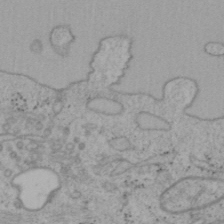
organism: Human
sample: HeLa cells